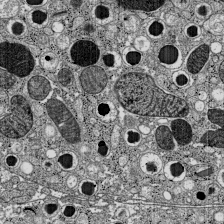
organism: C57BL Mouse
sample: Pancreatic islet